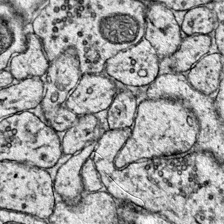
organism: Mouse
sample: Primary visual cortex